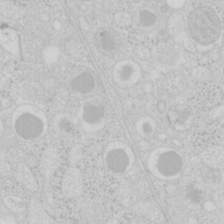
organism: Mouse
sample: Pancreas